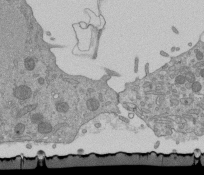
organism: Mouse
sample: ED-1 cell nuclei; centrioles